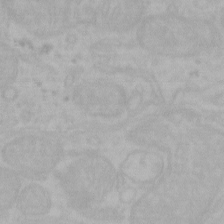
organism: Mouse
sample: Choroid plexus